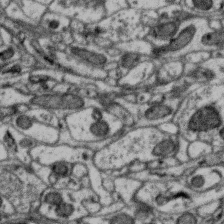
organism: Zebra finch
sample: Brain